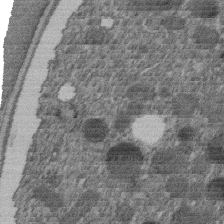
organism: C. elegans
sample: C. elegans embryo early stage